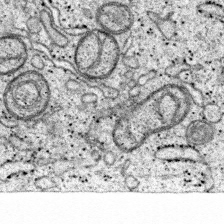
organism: Human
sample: HeLa cells